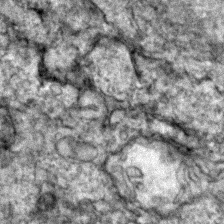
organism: Zebrafish